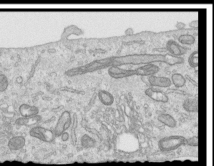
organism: Human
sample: Centriole in RPE cells